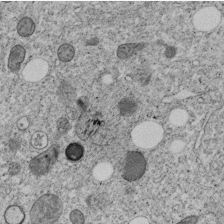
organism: C. elegans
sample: C. elegans embryo early stage